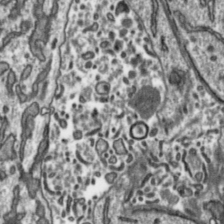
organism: Toxoplasma gondii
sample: Parasites in a vacuole inside a host cell